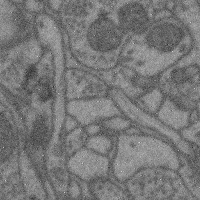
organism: Mouse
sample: Cerebral cortex